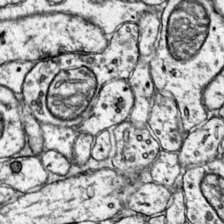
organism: Mouse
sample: Primary visual cortex